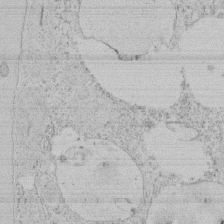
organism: Tetrahymena